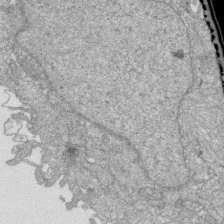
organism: Human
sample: HeLa cell HIV synapse